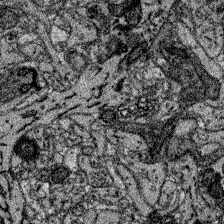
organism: Zebrafish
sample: Larval olfactory bulb